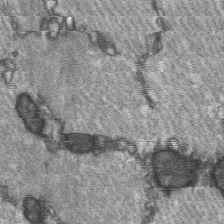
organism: C57BL Mouse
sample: Soleus